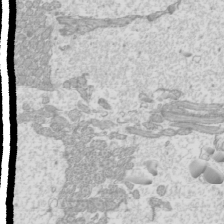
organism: Mouse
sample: Cilia; mouse epididymis